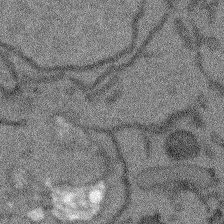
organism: Arabidopsis thaliana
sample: Root tip